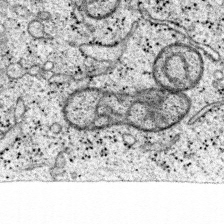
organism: Human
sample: HeLa cells